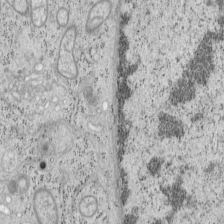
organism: Mouse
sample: OT-I killer T cells with ID8 ovarian cancer cells